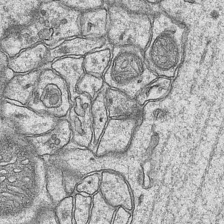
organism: Mouse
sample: CA1 Hippocampus